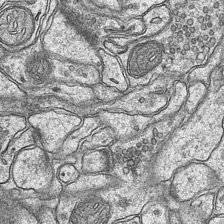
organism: Mouse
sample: CA1 Hippocampus